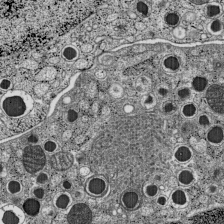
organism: C57BL Mouse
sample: Pancreatic islet